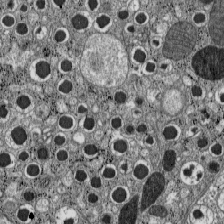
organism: C57BL Mouse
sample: Pancreatic islet